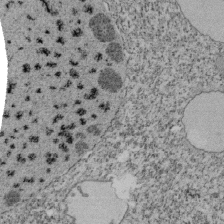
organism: Tetrahymena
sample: Cilia in tetrahymena